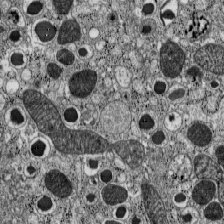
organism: C57BL Mouse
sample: Pancreatic islet